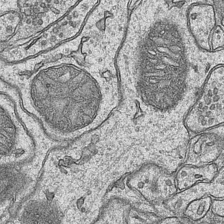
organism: Mouse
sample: CA1 Hippocampus